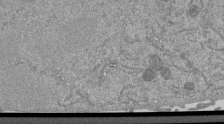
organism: Mouse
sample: ED-1 cell nuclei; centrioles